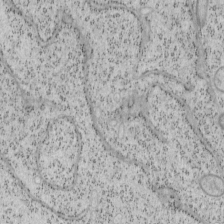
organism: Mouse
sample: OT-I killer T cells with ID8 ovarian cancer cells